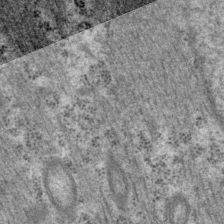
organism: P. pacificus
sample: Pharynx